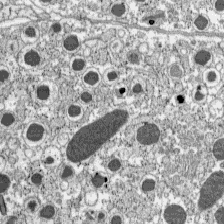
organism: C57BL Mouse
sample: Pancreatic islet